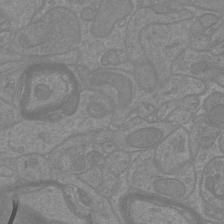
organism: Mouse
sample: Cortical neurons